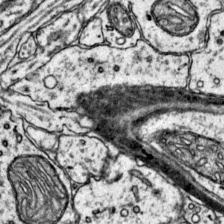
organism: Mouse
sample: Primary visual cortex